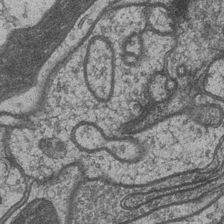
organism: Drosophila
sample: Optic medulla